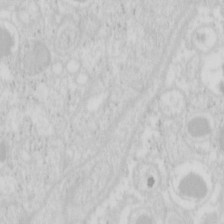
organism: Mouse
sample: Pancreas